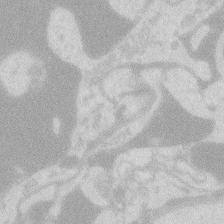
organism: Zebrafish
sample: Macrophage